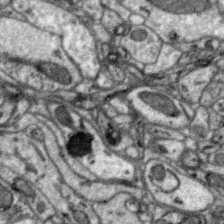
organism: Zebra finch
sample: Brain